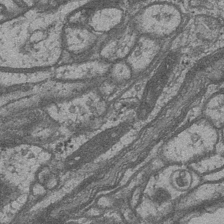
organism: Drosophila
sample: Optic medulla